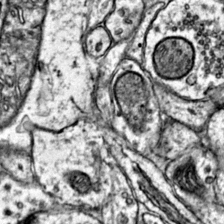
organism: Mouse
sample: Primary visual cortex